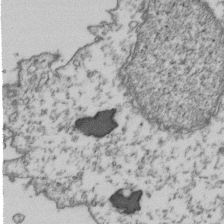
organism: Human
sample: Activated Jurkat CD4+ T cells